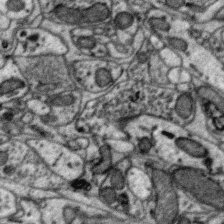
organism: Zebra finch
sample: Brain